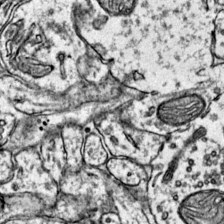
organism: Mouse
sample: Primary visual cortex